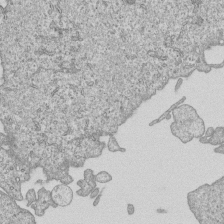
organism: Human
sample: MDA-MB-231 cells